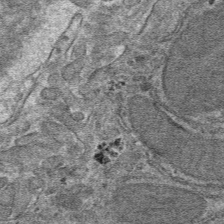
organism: Mouse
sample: Mouse hepatocytes